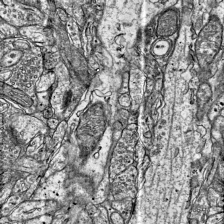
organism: Mouse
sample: Visual Cortex